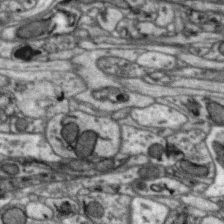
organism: Zebra finch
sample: Brain